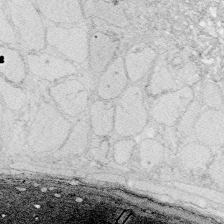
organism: Zebrafish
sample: Whole-Brain